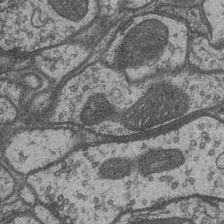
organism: Drosophila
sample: Optic medulla